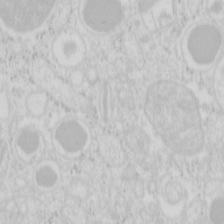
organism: Mouse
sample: Pancreas